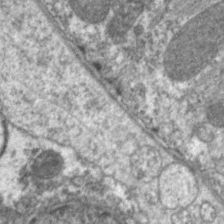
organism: C. elegans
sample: Pharynx